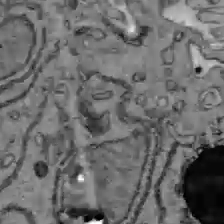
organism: C57BL Mouse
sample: Liver